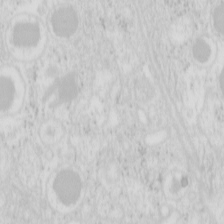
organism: Mouse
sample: Pancreas